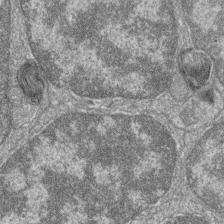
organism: Zebrafish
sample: Cilia; retinal pigment epithelium